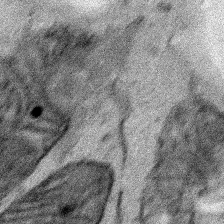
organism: Human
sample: Mitochondria in HCT116 cells